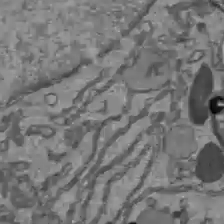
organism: C57BL Mouse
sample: Liver